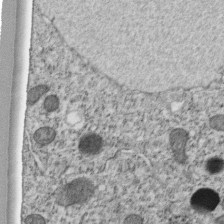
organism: C. elegans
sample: C. elegans embryo early stage